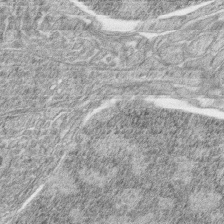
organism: Zebrafish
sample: synaptic ribbons in rod cells and cone cells